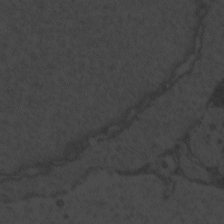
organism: Zebrafish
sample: Macrophage infected with Toxoplasma gondii